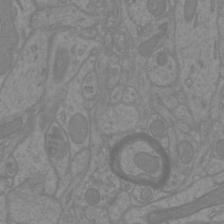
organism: Mouse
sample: Cortical neurons